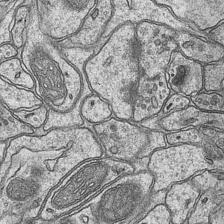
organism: Mouse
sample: CA1 Hippocampus